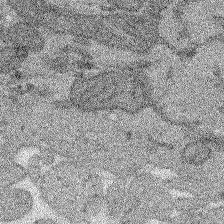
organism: Human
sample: HeLa cells